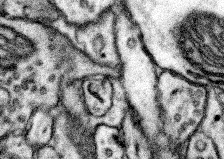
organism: Mouse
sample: Somatosensory cortex neuropil